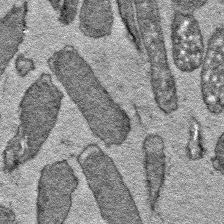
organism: E. coli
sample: E. Coli Bacteria